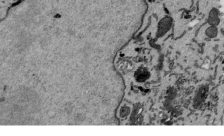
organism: Mouse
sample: ED-1 cell nuclei; centrioles